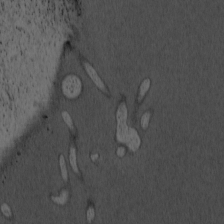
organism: African green monkey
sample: COS-7 cells